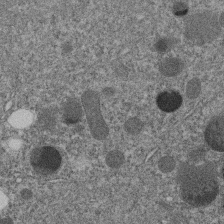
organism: C. elegans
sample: C. elegans embryo early stage